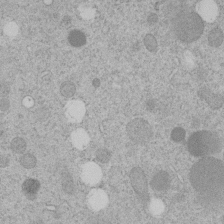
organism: C. elegans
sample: C. elegans embryo early stage